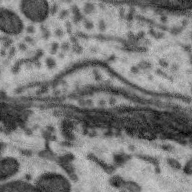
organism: Zebra finch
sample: Brain